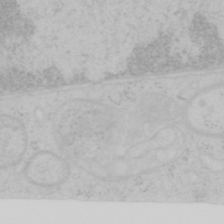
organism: Mouse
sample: OT-I killer T cells with ID8 ovarian cancer cells